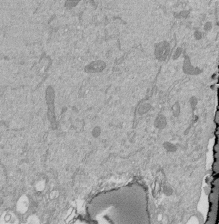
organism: Mouse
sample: ED-1 cell nuclei; centrioles